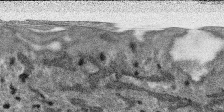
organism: Human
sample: Lung epithelial cells infected with SARS-CoV-2